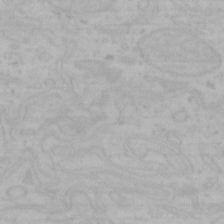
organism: Mouse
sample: Choroid plexus